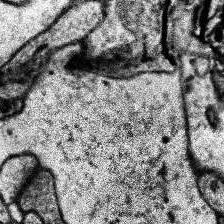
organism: Human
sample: Temporal Lobe